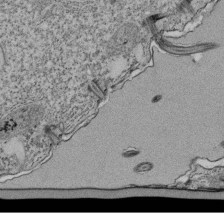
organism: Tetrahymena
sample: Cilia in tetrahymena